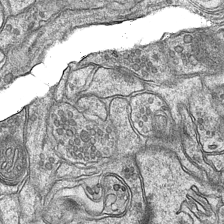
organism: Mouse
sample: CA1 Hippocampus